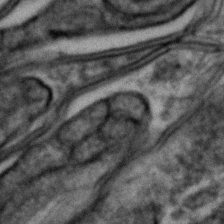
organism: Zebrafish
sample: Zebrafish embryo